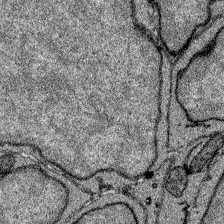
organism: Zebrafish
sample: Larval olfactory bulb